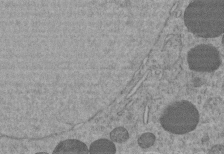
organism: C. elegans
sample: C. elegans embryo early stage